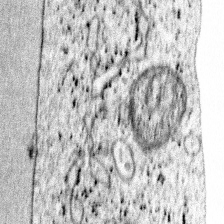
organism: Human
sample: HeLa cells